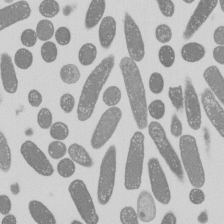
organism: E. coli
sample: Bacterial nucleoid